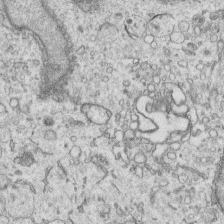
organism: Human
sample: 1205lu cells